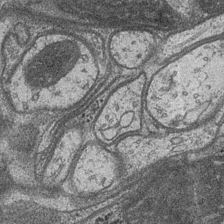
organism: Drosophila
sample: Optic medulla